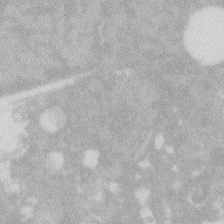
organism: Zebrafish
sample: Macrophage